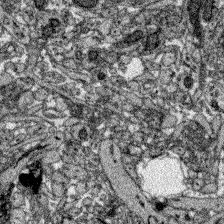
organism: Zebrafish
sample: Larval olfactory bulb